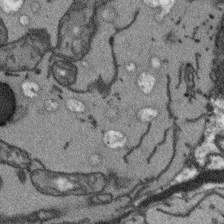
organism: Arabidopsis thaliana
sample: Root tip